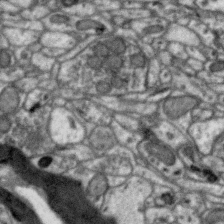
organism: Zebra finch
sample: Brain